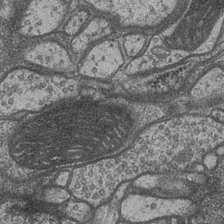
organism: Drosophila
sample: Optic medulla